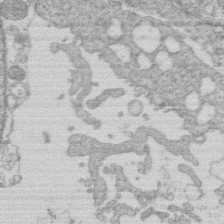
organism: Human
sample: Macrophage cells